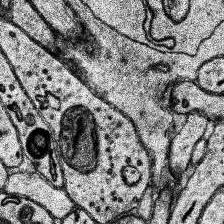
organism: Human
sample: Temporal Lobe